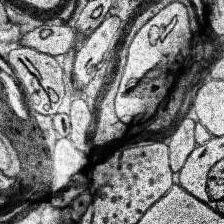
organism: Human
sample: Temporal Lobe